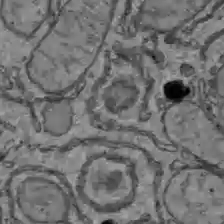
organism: C57BL Mouse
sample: Liver